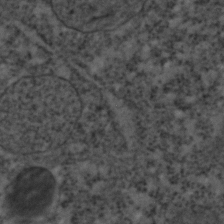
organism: C. elegans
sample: C. elegans embryo